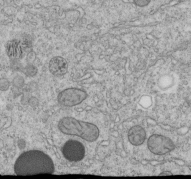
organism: C. elegans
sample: C. elegans embryo early stage